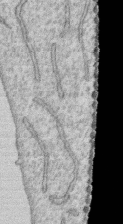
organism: Human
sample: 1205lu cells